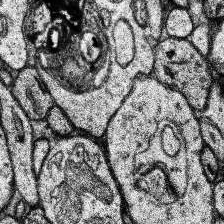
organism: Human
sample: Temporal Lobe